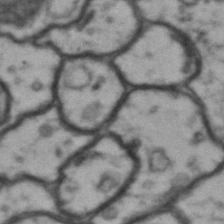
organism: Drosophila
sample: Brain